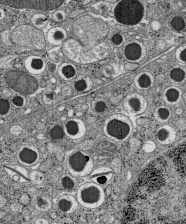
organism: C57BL Mouse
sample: Pancreatic islet